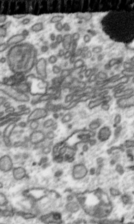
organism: Toxoplasma gondii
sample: Parasites in a vacuole inside a host cell